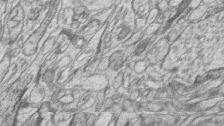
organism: Zebrafish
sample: synaptic ribbons in rod cells and cone cells